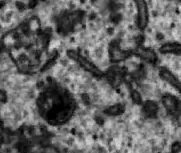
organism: Human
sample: HeLa cells